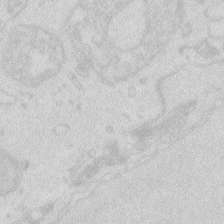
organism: Zebrafish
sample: Macrophage